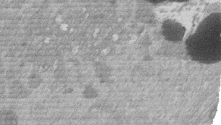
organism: Mouse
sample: Dividing mouse embryo 1 cell stage